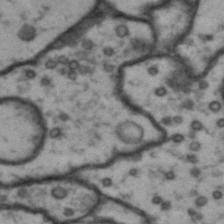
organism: Drosophila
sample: Brain